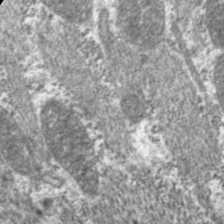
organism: C. elegans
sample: Pharynx